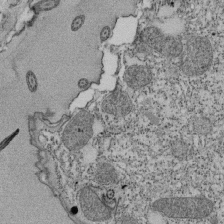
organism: Tetrahymena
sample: Cilia in tetrahymena